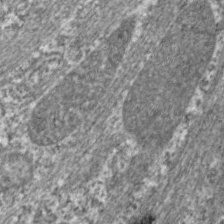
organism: C. elegans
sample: Pharynx